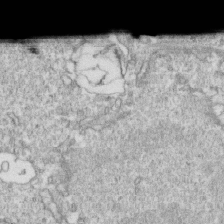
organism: Mouse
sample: Activated OT-1 CD8+ T cells